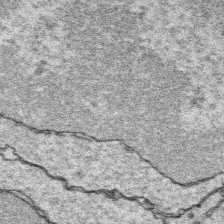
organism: Platynereis dumerilii